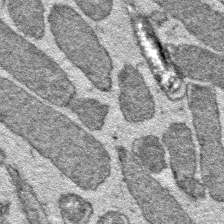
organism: E. coli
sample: E. Coli Bacteria